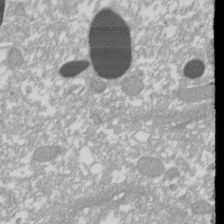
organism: Xenopus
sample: Cilia; centrioles in frog embryo cells